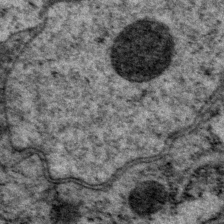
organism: P. pacificus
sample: Pharynx